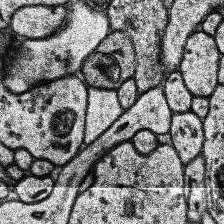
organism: Human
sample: Temporal Lobe